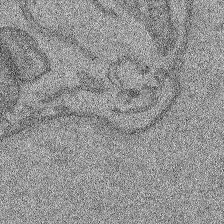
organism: Human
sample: HeLa cells